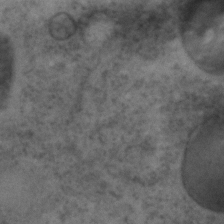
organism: C. elegans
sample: C. elegans embryo